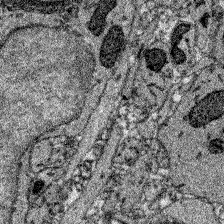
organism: Zebrafish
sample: Larval olfactory bulb